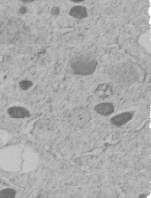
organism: C. elegans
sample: C. elegans embryo early stage